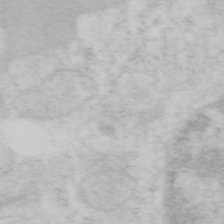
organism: Mouse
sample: OT-I killer T cells with ID8 ovarian cancer cells